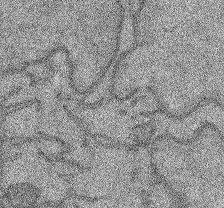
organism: Human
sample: HeLa cells